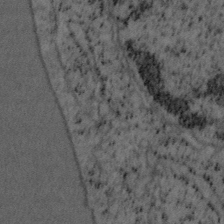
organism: Human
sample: HeLa cells